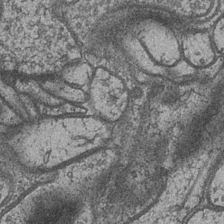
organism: Drosophila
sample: Optic medulla